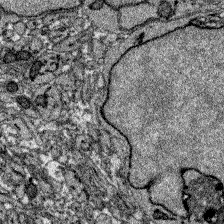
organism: Zebrafish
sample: Larval olfactory bulb